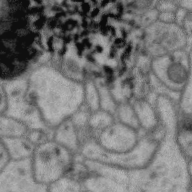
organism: Zebra finch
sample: Brain